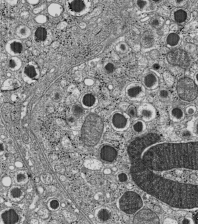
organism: C57BL Mouse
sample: Pancreatic islet